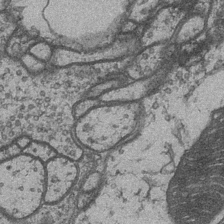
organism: Drosophila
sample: Optic medulla